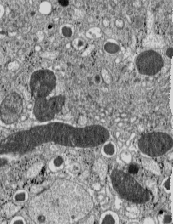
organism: C57BL Mouse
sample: Pancreatic islet